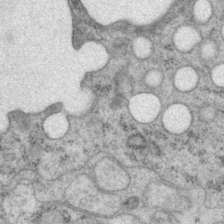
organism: P. pacificus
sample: Pharynx